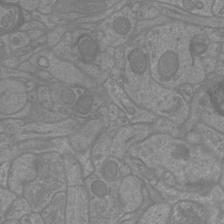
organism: Mouse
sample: Cortical neurons